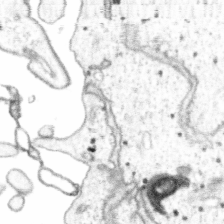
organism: Human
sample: HeLa cells